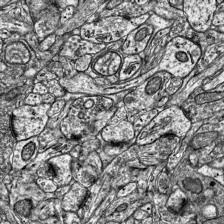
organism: Mouse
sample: Visual Cortex